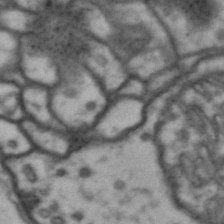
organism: Drosophila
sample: Brain